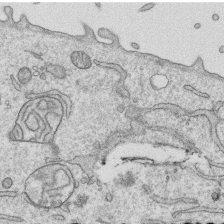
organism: Human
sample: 1205lu cells